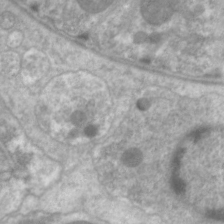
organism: C. elegans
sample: Pharynx